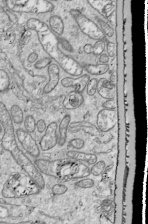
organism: Drosophila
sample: Cell division; meiosis; drosophila spermatocytes